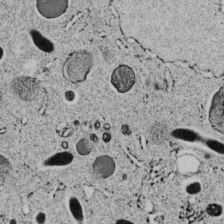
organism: C. elegans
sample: C. elegans embryo early stage